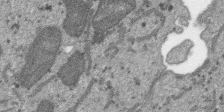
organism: Human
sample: Lung epithelial cells infected with SARS-CoV-2